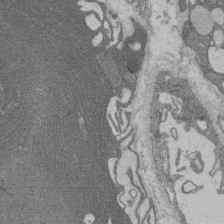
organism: Rat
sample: Salivary granule